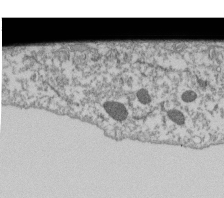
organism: Dictyostelium discoideum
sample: Dictyostelium multivesicular bodies